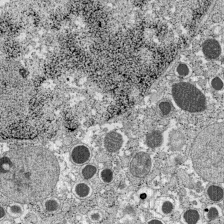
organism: C57BL Mouse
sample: Pancreatic islet